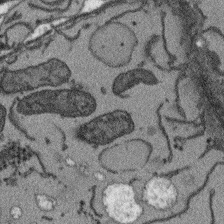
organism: Arabidopsis thaliana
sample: Root tip